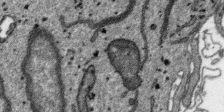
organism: Human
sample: Lung epithelial cells, uninfected (mock) control